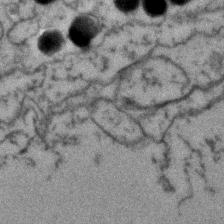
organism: Zebrafish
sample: Zebrafish embryo